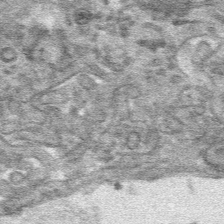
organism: Mouse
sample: Mouse hepatocytes